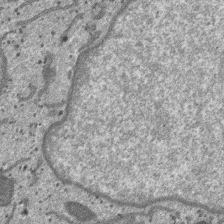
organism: Human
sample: Lung epithelial cells infected with SARS-CoV-2